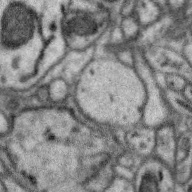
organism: Zebra finch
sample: Brain